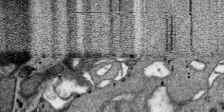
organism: Human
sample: Lung epithelial cells, uninfected (mock) control